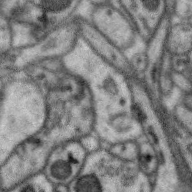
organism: Zebra finch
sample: Brain